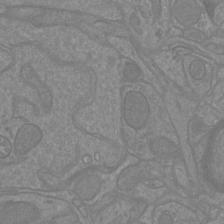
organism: Mouse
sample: Cortical neurons